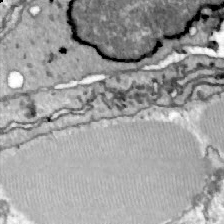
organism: Zebrafish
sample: Actinotrichia fibers